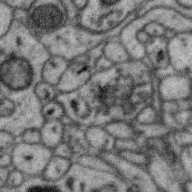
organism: Zebra finch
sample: Brain